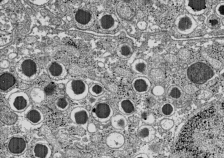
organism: C57BL Mouse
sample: Pancreatic islet